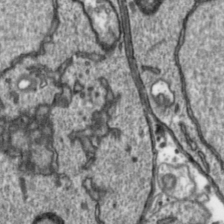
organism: Toxoplasma gondii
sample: Parasites in a vacuole inside a host cell